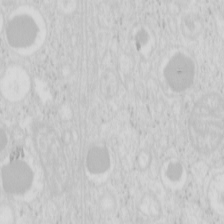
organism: Mouse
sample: Pancreas